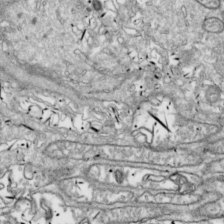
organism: Drosophila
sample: Cell division; meiosis; drosophila spermatocytes